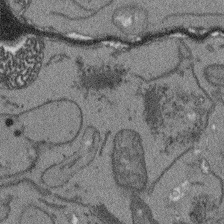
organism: Arabidopsis thaliana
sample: Root tip